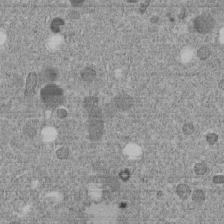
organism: C. elegans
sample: C. elegans embryo early stage